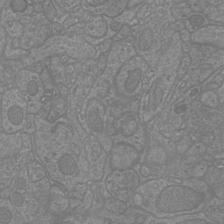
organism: Mouse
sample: Cortical neurons